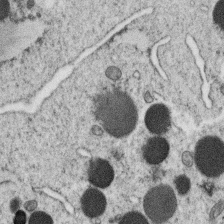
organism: C. elegans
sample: C. elegans oocyte; sperm cells